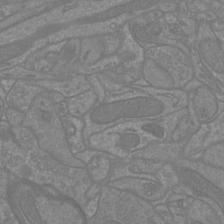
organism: Mouse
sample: Cortical neurons